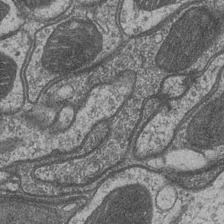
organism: Drosophila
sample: Optic medulla